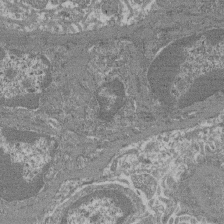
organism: Mouse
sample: Glomerulus